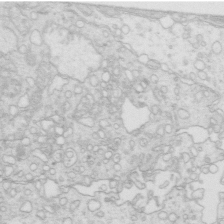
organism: Mouse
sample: Multiciliated cells